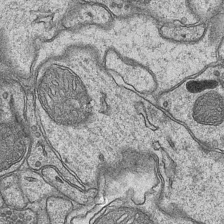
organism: Mouse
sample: CA1 Hippocampus